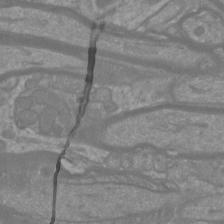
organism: Mouse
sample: Cortical neurons